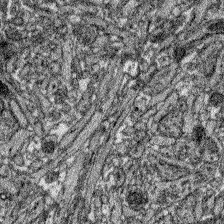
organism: Zebrafish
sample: Larval olfactory bulb